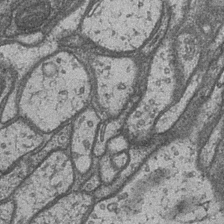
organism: Drosophila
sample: Optic medulla